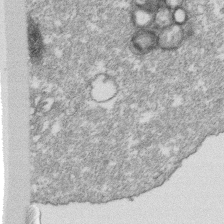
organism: African green monkey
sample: Vero E6 cells infected with SARS-CoV-2